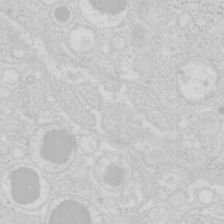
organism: Mouse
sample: Pancreas